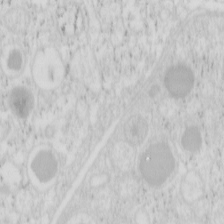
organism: Mouse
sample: Pancreas